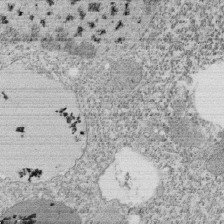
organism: Tetrahymena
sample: Cilia in tetrahymena